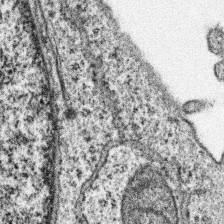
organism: Human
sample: HeLa cells